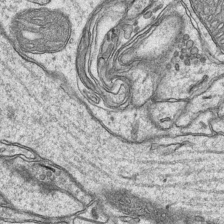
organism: Mouse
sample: CA1 Hippocampus